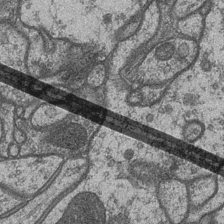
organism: Drosophila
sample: Optic medulla